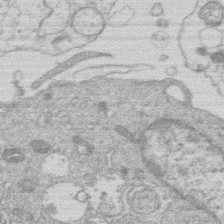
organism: Human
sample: Macrophage cells